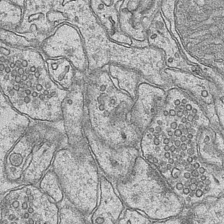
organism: Mouse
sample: CA1 Hippocampus